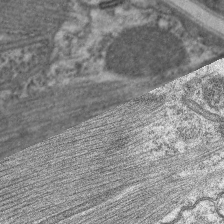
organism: C. elegans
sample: Pharynx